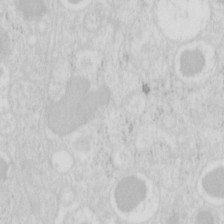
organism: Mouse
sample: Pancreas